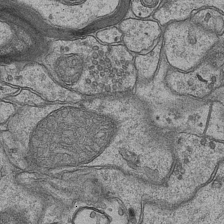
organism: Mouse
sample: CA1 Hippocampus